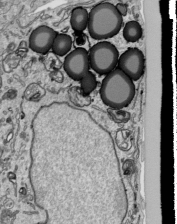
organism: Human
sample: Mitochondria in HCT116 cells